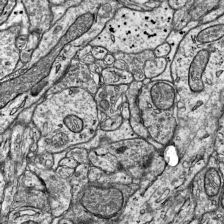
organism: Mouse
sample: Visual Cortex